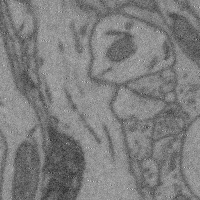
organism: Mouse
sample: Cerebral cortex